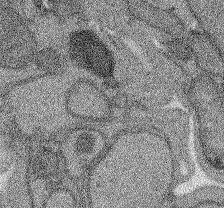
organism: Human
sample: HeLa cells